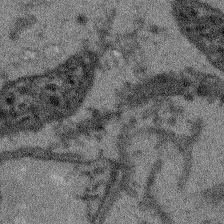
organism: Arabidopsis thaliana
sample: Root tip